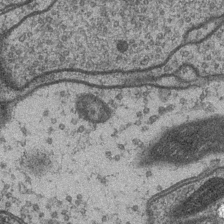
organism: Drosophila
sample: Optic medulla